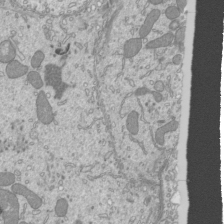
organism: Mouse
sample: Cilia; mouse epididymis